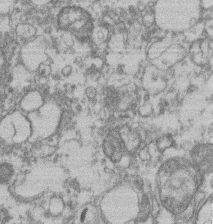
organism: Mouse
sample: T cell stromal cell synapse